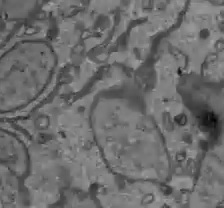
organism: C57BL Mouse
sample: Liver